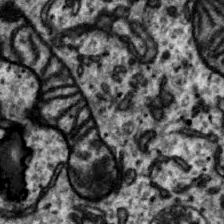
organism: Human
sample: HeLa cells